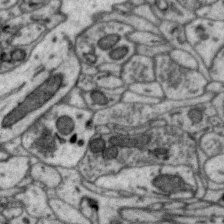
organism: Zebra finch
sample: Brain